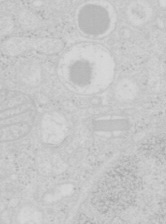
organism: Mouse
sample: Pancreas